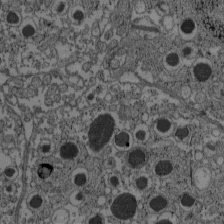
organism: C57BL Mouse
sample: Pancreatic islet